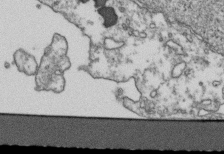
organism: Human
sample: Activated Jurkat CD4+ T cells